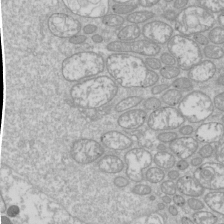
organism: Drosophila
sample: Cell division; meiosis; drosophila spermatocytes